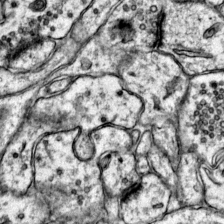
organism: Mouse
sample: Primary visual cortex